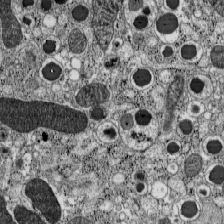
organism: C57BL Mouse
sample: Pancreatic islet